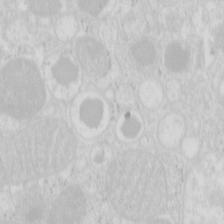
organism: Mouse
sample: Pancreas